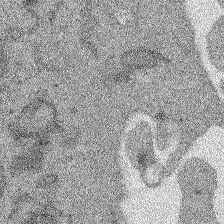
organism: Human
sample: HeLa cells